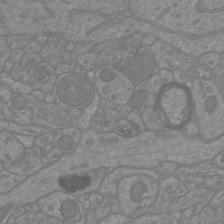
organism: Mouse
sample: Cortical neurons